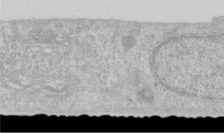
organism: Human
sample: Centriole in RPE cells